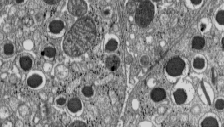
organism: C57BL Mouse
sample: Pancreatic islet